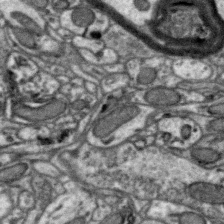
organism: Zebra finch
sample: Brain